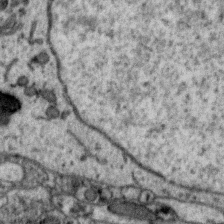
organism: Zebra finch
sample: Brain